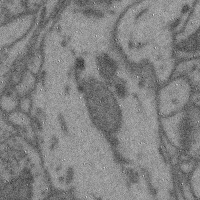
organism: Mouse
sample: Cerebral cortex